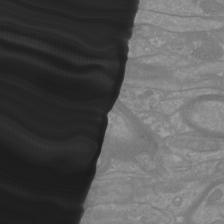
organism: Mouse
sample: Cortical neurons